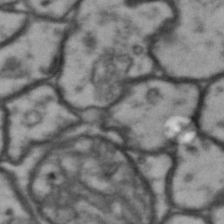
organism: Drosophila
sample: Brain